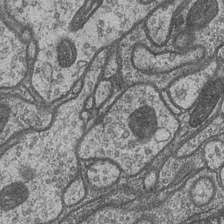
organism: Drosophila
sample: Optic medulla